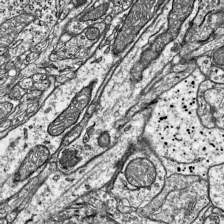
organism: Mouse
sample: Visual Cortex